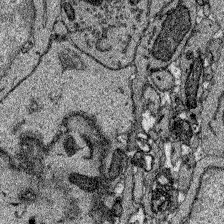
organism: Zebrafish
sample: Larval olfactory bulb